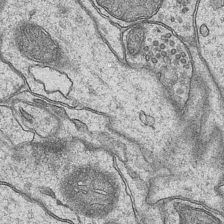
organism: Mouse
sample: CA1 Hippocampus